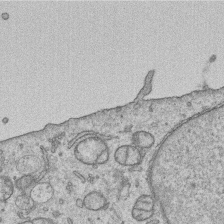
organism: Human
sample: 1205lu cells